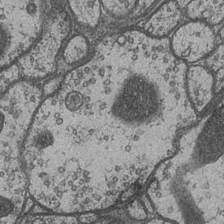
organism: Drosophila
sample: Optic medulla